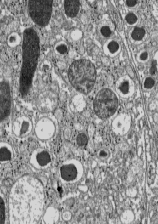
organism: C57BL Mouse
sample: Pancreatic islet